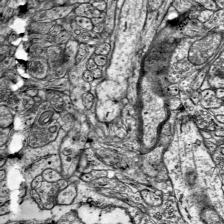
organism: Mouse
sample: Visual Cortex